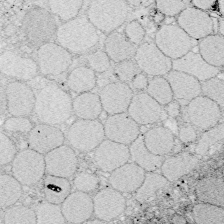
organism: Zebrafish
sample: Whole-Brain